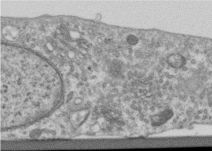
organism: Human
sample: Centriole in RPE cells